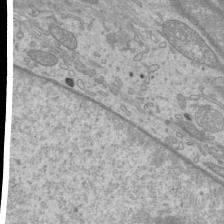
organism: Mouse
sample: Cilia; mouse epididymis